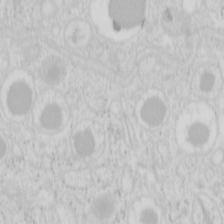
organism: Mouse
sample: Pancreas